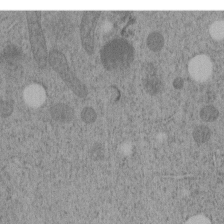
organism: C. elegans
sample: C. elegans embryo early stage